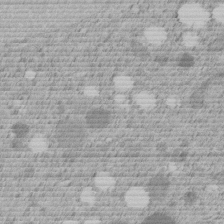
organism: C. elegans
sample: C. elegans embryo early stage